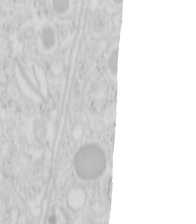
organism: Mouse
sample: Pancreas